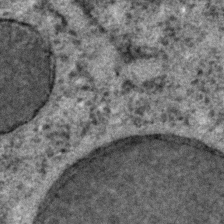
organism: C. elegans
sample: C. elegans embryo